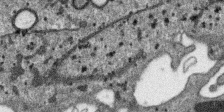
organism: Human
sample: Lung epithelial cells infected with SARS-CoV-2